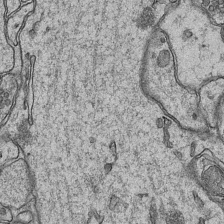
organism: Mouse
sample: CA1 Hippocampus